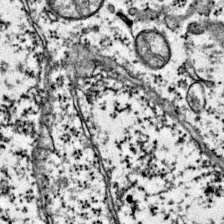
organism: Mouse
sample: Primary visual cortex